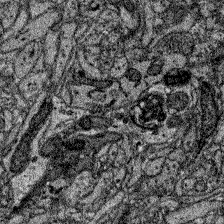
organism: Zebrafish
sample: Larval olfactory bulb